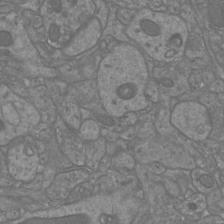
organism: Mouse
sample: Cortical neurons